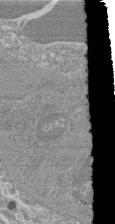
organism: Mouse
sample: Glomerulus